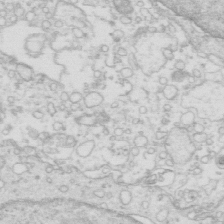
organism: Mouse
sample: Multiciliated cells